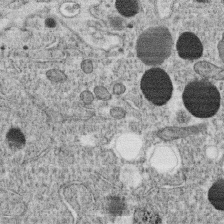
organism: C. elegans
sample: C. elegans oocyte; sperm cells